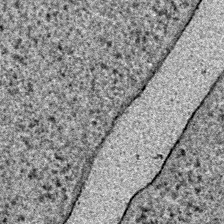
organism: E. coli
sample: E. Coli Bacteria